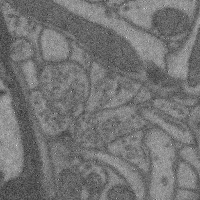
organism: Mouse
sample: Cerebral cortex